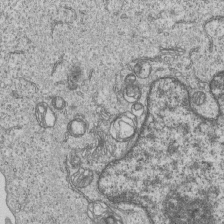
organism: Human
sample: MDA-MB-231 cells